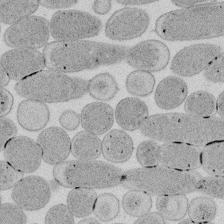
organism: E. coli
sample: Bacterial nucleoid